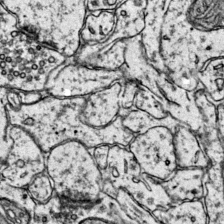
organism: Mouse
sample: Primary visual cortex